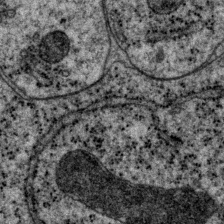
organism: P. pacificus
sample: Pharynx